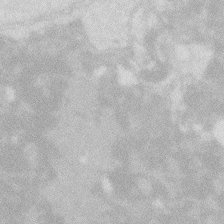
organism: Zebrafish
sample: Macrophage